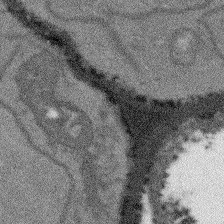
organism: Arabidopsis thaliana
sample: Root tip